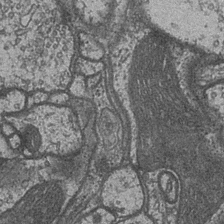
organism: Drosophila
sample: Optic medulla